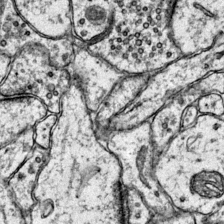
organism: Mouse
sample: Primary visual cortex